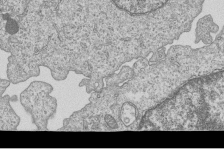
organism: Human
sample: MDA-MB-231 cells